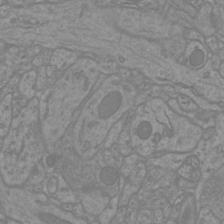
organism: Mouse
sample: Cortical neurons